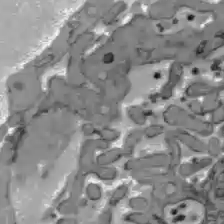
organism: C57BL Mouse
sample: Liver